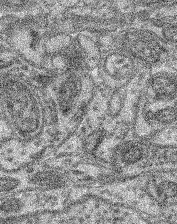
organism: Mouse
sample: Retina